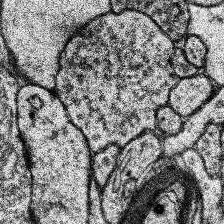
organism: Human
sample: Temporal Lobe